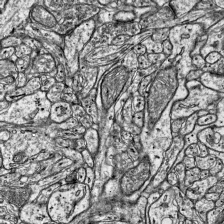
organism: Mouse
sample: Visual Cortex